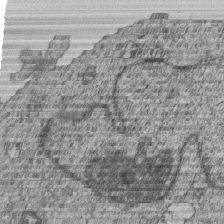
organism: Human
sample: MDA-MB-231 cells